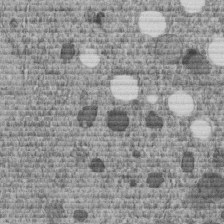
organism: C. elegans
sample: C. elegans embryo early stage